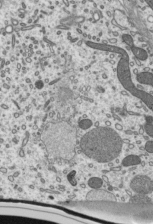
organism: Mouse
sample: Mouse epididymis efferent ductule cilia